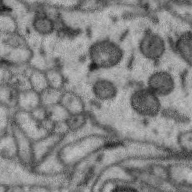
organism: Zebra finch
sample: Brain